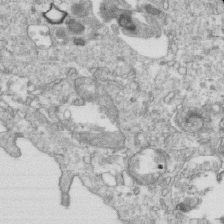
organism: Mouse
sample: Activated OT-1 CD8+ T cells